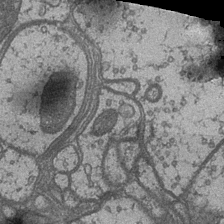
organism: Drosophila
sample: Optic medulla